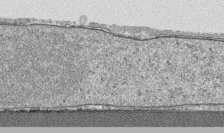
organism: Human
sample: CRL-1474